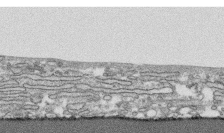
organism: Human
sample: CRL-1474